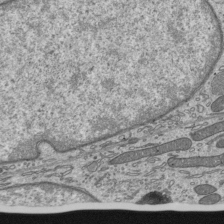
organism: Mouse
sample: Mouse epididymis efferent ductule cilia